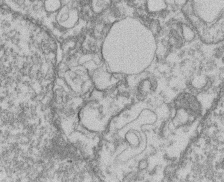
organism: Mouse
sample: T cell stromal cell synapse